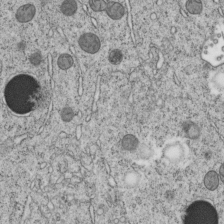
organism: C. elegans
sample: C. elegans embryo early stage